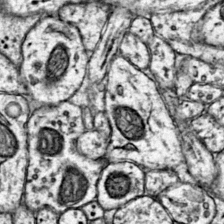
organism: Mouse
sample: Primary visual cortex